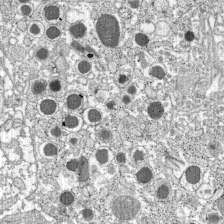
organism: C57BL Mouse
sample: Pancreatic islet